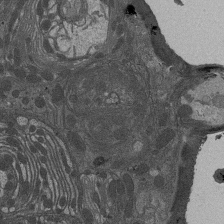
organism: Drosophila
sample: Antenna